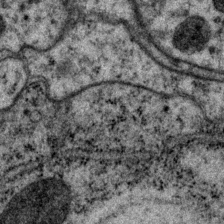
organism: P. pacificus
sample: Pharynx